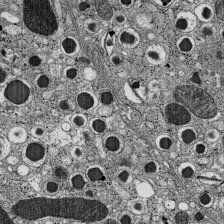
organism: C57BL Mouse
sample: Pancreatic islet